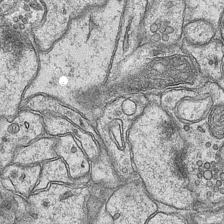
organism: Mouse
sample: CA1 Hippocampus